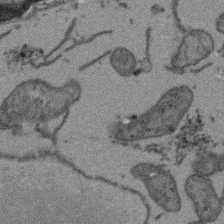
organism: Arabidopsis thaliana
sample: Root tip